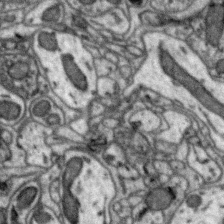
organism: Zebra finch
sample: Brain